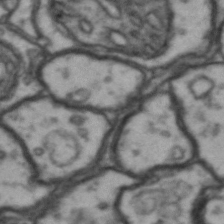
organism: Drosophila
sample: Brain